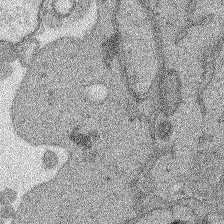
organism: Human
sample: HeLa cells